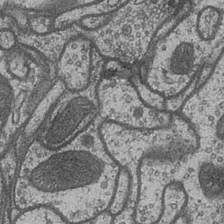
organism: Drosophila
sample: Optic medulla